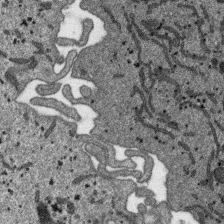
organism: Human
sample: Lung epithelial cells infected with SARS-CoV-2